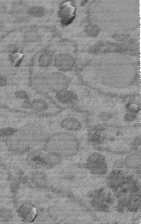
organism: C. elegans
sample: C. elegans embryo early stage